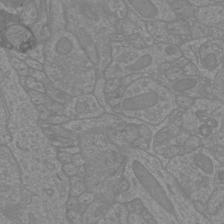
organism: Mouse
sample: Cortical neurons